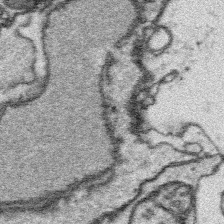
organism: Platynereis dumerilii